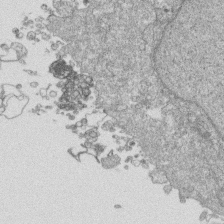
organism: Human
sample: HeLa cell HIV synapse